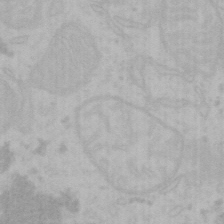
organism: Mouse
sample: Choroid plexus